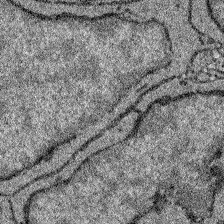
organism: Zebrafish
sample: Larval olfactory bulb